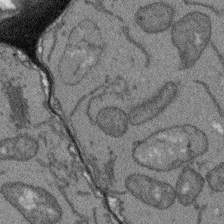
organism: Arabidopsis thaliana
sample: Root tip